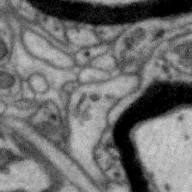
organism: Zebra finch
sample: Brain